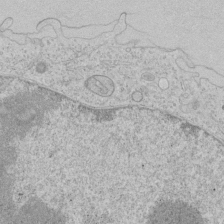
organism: Human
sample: Mitochondria in HCT116 cells